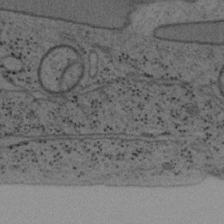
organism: Human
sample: HeLa cells